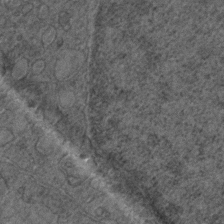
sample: Trachea